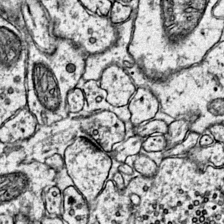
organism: Mouse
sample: Primary visual cortex